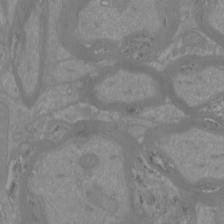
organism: Mouse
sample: Cortical neurons